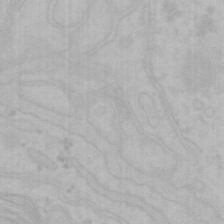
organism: Mouse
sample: Choroid plexus